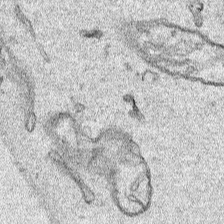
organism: Human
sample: Mitochondria in HCT116 cells